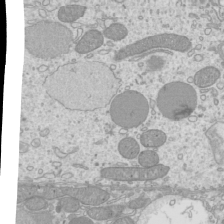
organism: Mouse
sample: Cilia; mouse epididymis